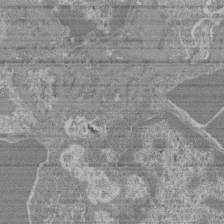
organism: Mouse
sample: Glomerulus